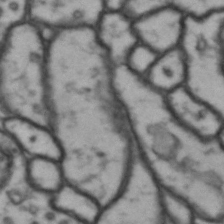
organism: Drosophila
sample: Brain